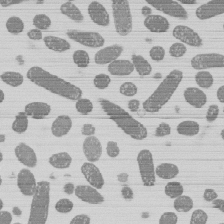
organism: E. coli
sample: Bacterial nucleoid